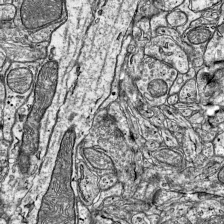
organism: Mouse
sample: Visual Cortex